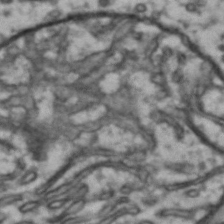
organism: Drosophila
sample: Brain